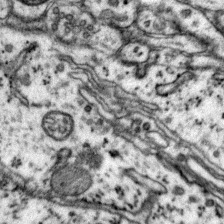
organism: Mouse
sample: Primary visual cortex